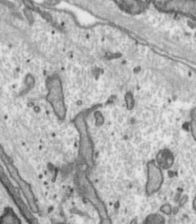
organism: Toxoplasma gondii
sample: Parasites in a vacuole inside a host cell